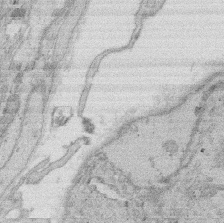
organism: Rat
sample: Salivary granule